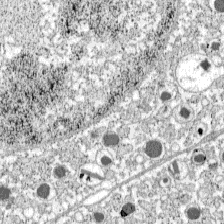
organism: C57BL Mouse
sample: Pancreatic islet